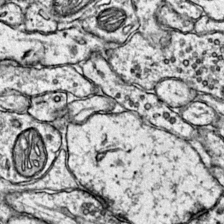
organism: Mouse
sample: Primary visual cortex